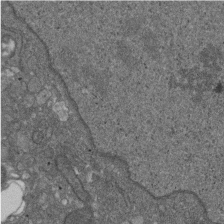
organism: Drosophila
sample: Nephrocyte